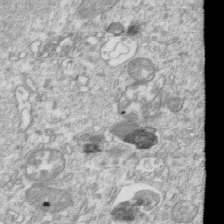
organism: Mouse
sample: Activated OT-1 CD8+ T cells